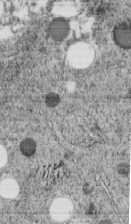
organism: C. elegans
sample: C. elegans embryo early stage